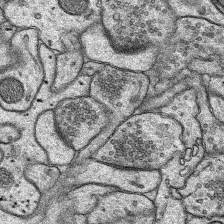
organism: Rat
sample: Hippocampus